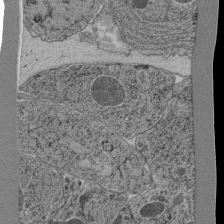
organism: C. elegans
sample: C. elegans pharynx